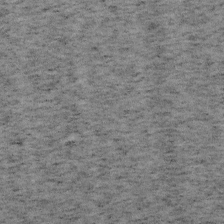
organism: Mouse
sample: OT-I killer T cells with ID8 ovarian cancer cells